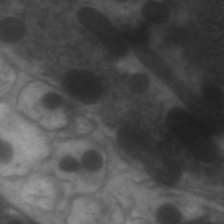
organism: C. elegans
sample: Pharynx